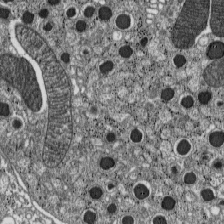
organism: C57BL Mouse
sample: Pancreatic islet